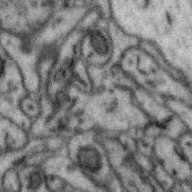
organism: Zebra finch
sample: Brain